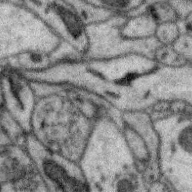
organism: Zebra finch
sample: Brain